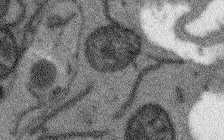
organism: Arabidopsis thaliana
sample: Root tip